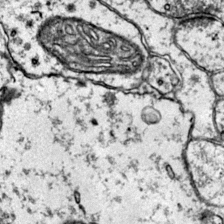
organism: Mouse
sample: Primary visual cortex